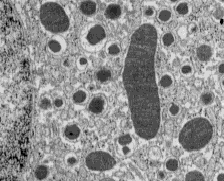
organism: C57BL Mouse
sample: Pancreatic islet